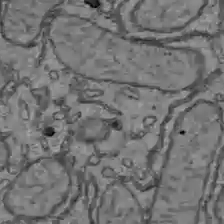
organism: C57BL Mouse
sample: Liver